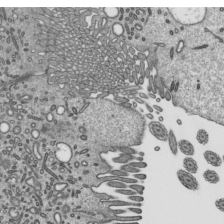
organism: Mouse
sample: Mouse epididymis efferent ductule cilia